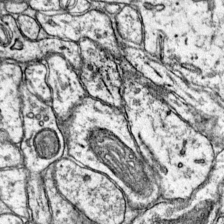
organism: Mouse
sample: Primary visual cortex